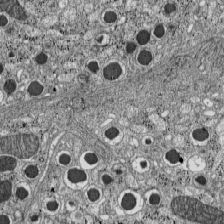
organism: C57BL Mouse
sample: Pancreatic islet